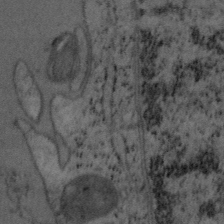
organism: Human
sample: HeLa cells